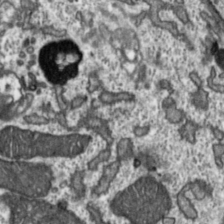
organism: Toxoplasma gondii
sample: Parasites in a vacuole inside a host cell